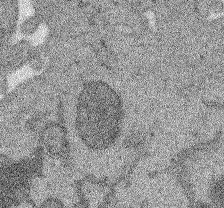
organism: Human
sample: HeLa cells